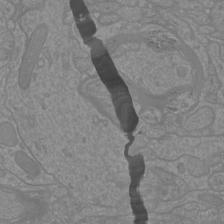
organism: Mouse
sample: Cortical neurons